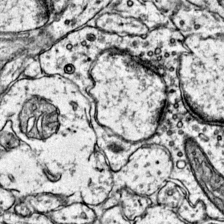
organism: Mouse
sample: Primary visual cortex